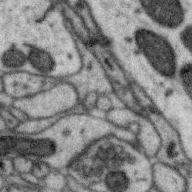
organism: Zebra finch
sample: Brain